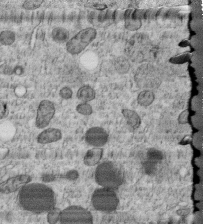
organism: C. elegans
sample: C. elegans embryo early stage